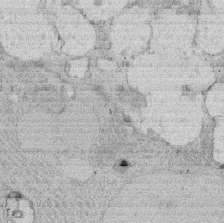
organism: Rat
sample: Salivary granule